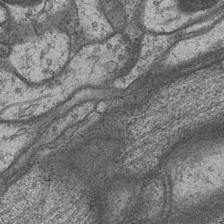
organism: Drosophila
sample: Optic medulla